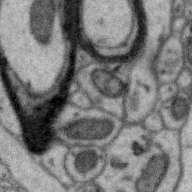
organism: Zebra finch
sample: Brain